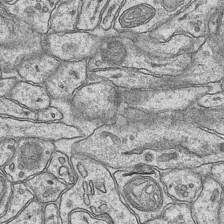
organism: Mouse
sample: CA1 Hippocampus